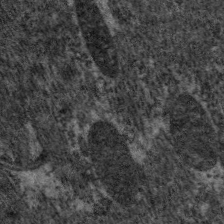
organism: C. elegans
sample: Pharynx